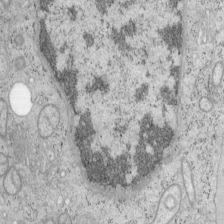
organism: Mouse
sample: OT-I killer T cells with ID8 ovarian cancer cells